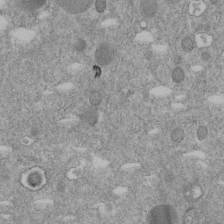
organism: C. elegans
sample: C. elegans embryo early stage